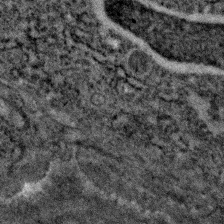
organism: C. elegans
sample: C. elegans embryo